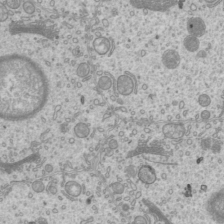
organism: Mouse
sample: Cilia; mouse epididymis